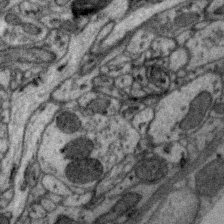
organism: Zebra finch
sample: Brain